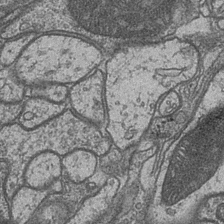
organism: Drosophila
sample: Optic medulla